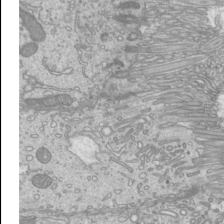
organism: Mouse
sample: Cilia; mouse epididymis